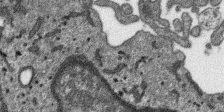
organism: Human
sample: Lung epithelial cells infected with SARS-CoV-2